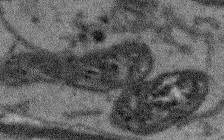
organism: Arabidopsis thaliana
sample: Root tip